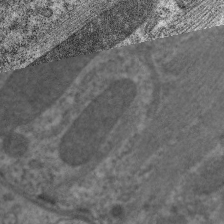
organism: C. elegans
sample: Pharynx